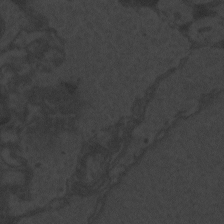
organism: Zebrafish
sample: Macrophage infected with Toxoplasma gondii